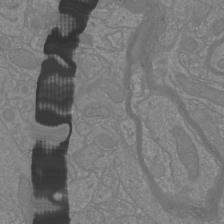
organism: Mouse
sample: Cortical neurons